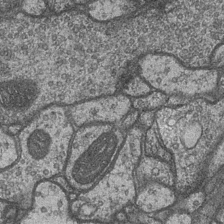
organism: Drosophila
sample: Optic medulla